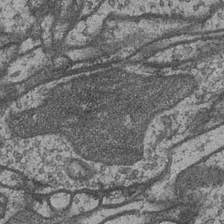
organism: Drosophila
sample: Optic medulla